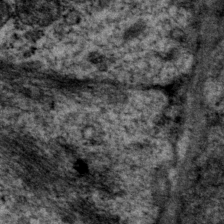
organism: P. pacificus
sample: Pharynx